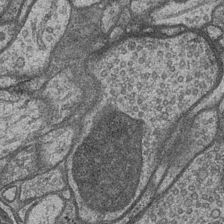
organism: Drosophila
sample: Optic medulla